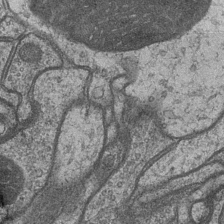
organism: Drosophila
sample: Optic medulla